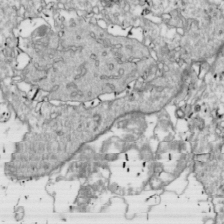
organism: Drosophila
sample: Cell division; meiosis; drosophila spermatocytes